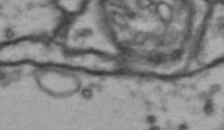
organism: Drosophila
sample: Brain